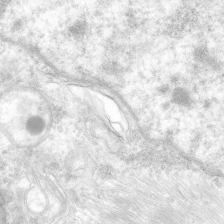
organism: Human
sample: Neocortex